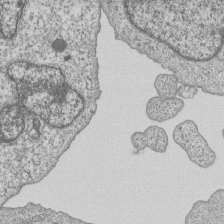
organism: Human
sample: MDA-MB-231 cells